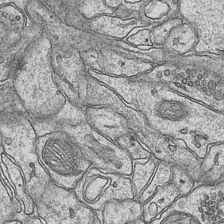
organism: Mouse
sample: CA1 Hippocampus